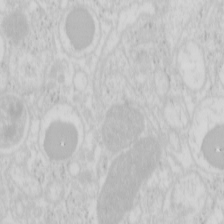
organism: Mouse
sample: Pancreas